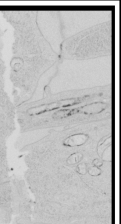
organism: Human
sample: Mitochondria in HCT116 cells